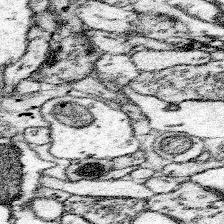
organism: Mouse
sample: Somatosensory cortex neuropil